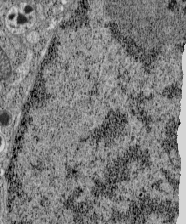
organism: C57BL Mouse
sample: Pancreatic islet